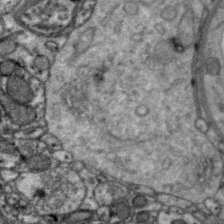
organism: Zebra finch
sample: Brain